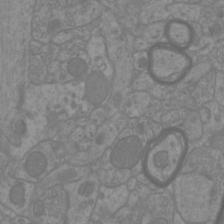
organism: Mouse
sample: Cortical neurons